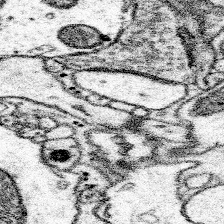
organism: Mouse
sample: Somatosensory cortex neuropil